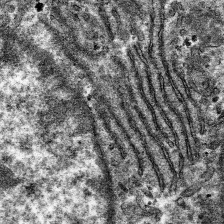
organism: Mouse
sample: Mouse hepatocytes